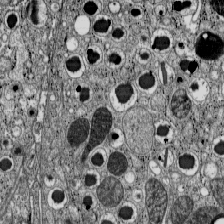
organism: C57BL Mouse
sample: Pancreatic islet